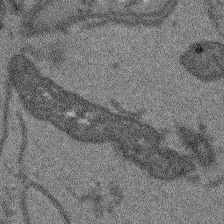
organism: Arabidopsis thaliana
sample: Root tip